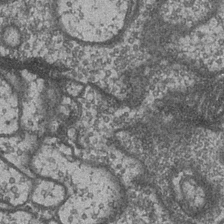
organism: Drosophila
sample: Optic medulla